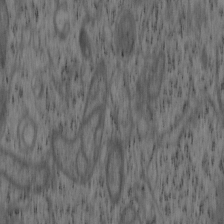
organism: Human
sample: HeLa cells